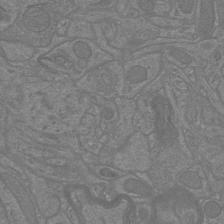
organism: Mouse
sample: Cortical neurons